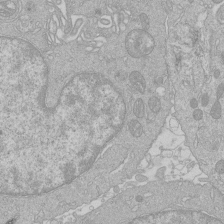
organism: Human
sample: Macrophage cells